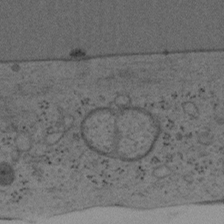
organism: Human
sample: HeLa cells